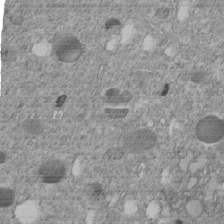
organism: C. elegans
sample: C. elegans embryo early stage